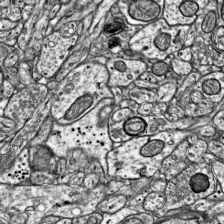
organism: Mouse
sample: Visual Cortex